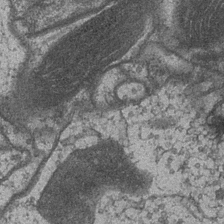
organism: Drosophila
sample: Optic medulla